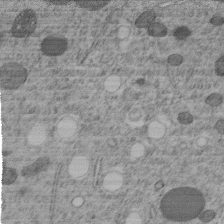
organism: C. elegans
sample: C. elegans embryo early stage